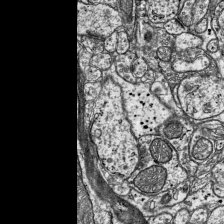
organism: Mouse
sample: Visual Cortex